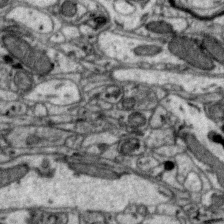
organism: Zebra finch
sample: Brain